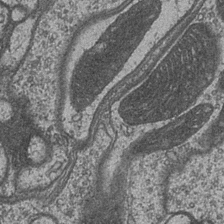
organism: Drosophila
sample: Optic medulla